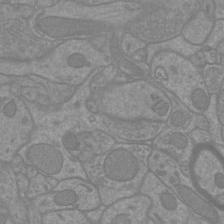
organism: Mouse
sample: Cortical neurons